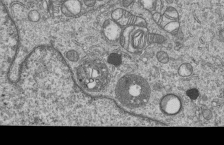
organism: Human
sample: MDA-MB-231 cells